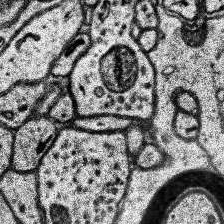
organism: Human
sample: Temporal Lobe